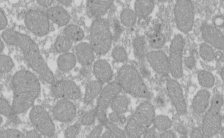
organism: Xenopus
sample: Cilia; centrioles in frog embryo cells